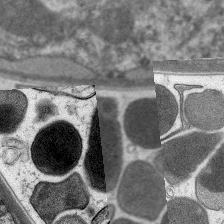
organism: C. elegans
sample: Pharynx